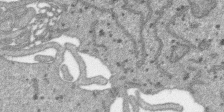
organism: Human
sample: Lung epithelial cells infected with SARS-CoV-2